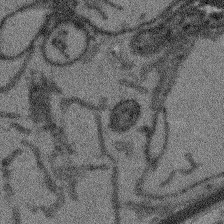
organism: Arabidopsis thaliana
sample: Root tip